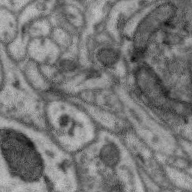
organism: Zebra finch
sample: Brain